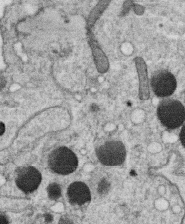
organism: C. elegans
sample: C. elegans oocyte; sperm cells